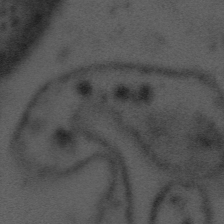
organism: Tuwongella immobilis